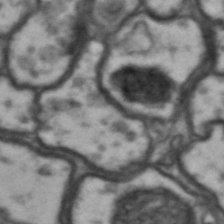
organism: Drosophila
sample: Brain